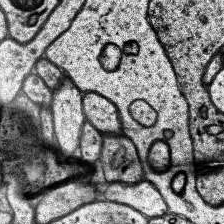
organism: Human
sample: Temporal Lobe